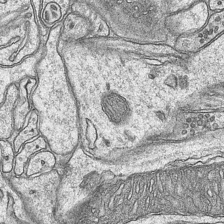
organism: Mouse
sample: CA1 Hippocampus